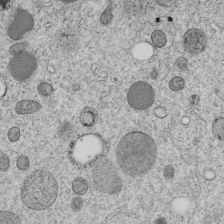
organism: C. elegans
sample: C. elegans embryo early stage